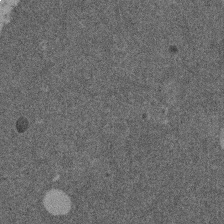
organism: Mouse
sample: Dividing mouse embryo 1 cell stage